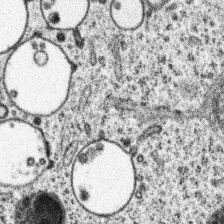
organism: Human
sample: HeLa cells